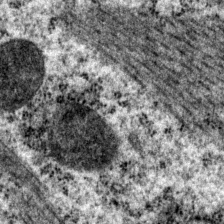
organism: P. pacificus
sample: Pharynx